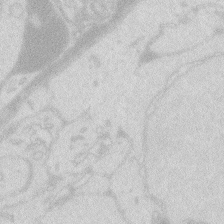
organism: Zebrafish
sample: Macrophage